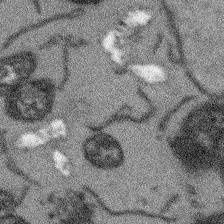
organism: Arabidopsis thaliana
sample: Root tip